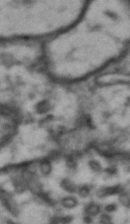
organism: Drosophila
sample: Brain